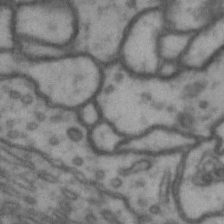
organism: Drosophila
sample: Brain